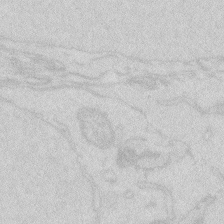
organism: Zebrafish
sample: Macrophage